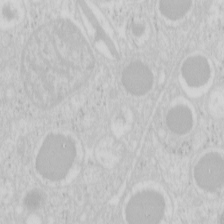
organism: Mouse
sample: Pancreas